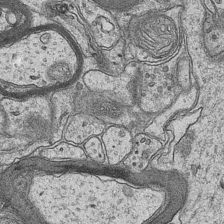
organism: Mouse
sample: CA1 Hippocampus